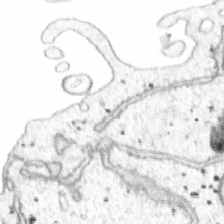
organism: Human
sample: HeLa cells